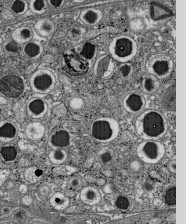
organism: C57BL Mouse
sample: Pancreatic islet